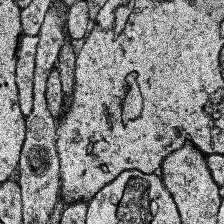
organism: Human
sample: Temporal Lobe